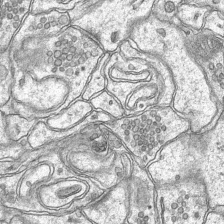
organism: Mouse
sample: CA1 Hippocampus